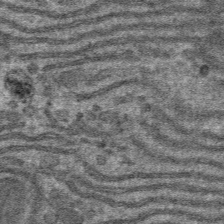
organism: Mouse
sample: Mouse hepatocytes